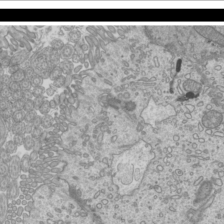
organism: Mouse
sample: Cilia; mouse epididymis